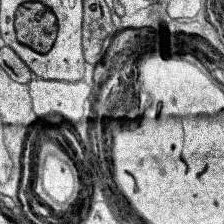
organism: Human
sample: Temporal Lobe